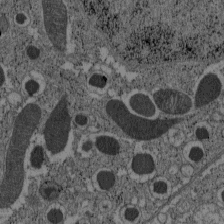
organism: C57BL Mouse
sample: Pancreatic islet